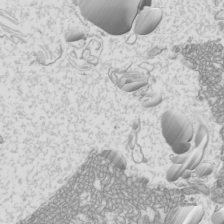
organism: Mouse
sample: Cilia; mouse epididymis